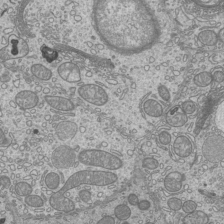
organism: Mouse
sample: Cilia; mouse epididymis